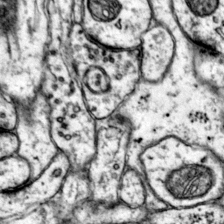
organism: Mouse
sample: Primary visual cortex